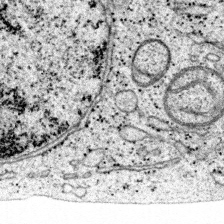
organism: Human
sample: HeLa cells